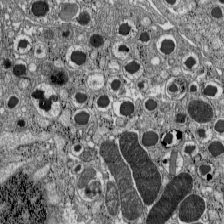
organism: C57BL Mouse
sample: Pancreatic islet